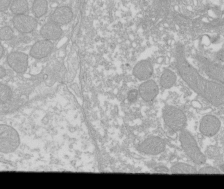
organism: Xenopus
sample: Cilia; centrioles in frog embryo cells